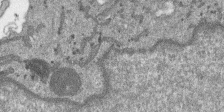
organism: Human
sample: Lung epithelial cells infected with SARS-CoV-2